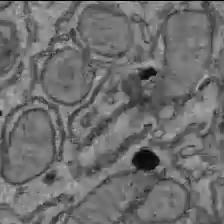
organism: C57BL Mouse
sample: Liver